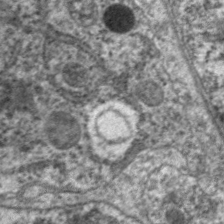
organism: C. elegans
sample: Pharynx